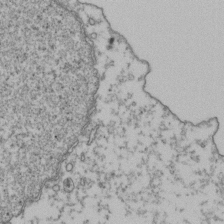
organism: Human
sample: Activated Jurkat CD4+ T cells